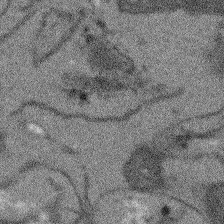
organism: Arabidopsis thaliana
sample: Root tip